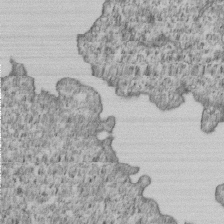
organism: Human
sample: MDA-MB-231 cells